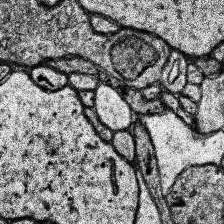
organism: Human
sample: Temporal Lobe